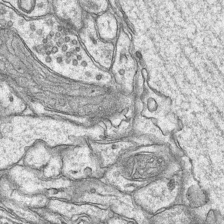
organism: Mouse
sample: CA1 Hippocampus